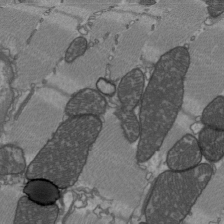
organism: C57BL Mouse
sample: Heart